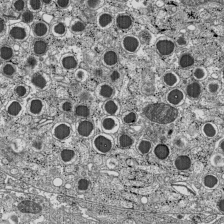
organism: C57BL Mouse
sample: Pancreatic islet